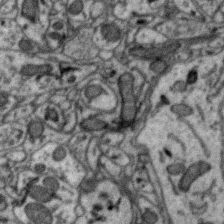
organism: Zebra finch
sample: Brain